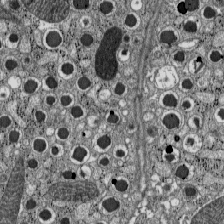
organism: C57BL Mouse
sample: Pancreatic islet